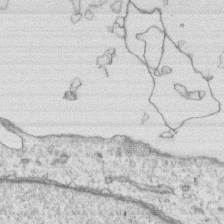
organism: Human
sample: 1205lu cells